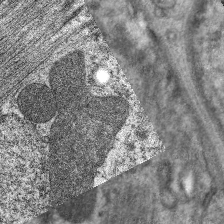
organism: C. elegans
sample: Pharynx